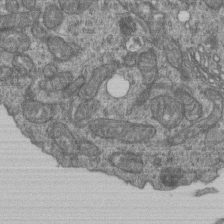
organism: Human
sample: Retinal organoid Rod and Cone cells